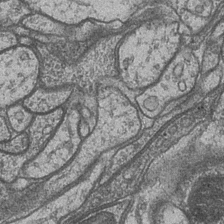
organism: Drosophila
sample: Optic medulla